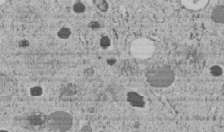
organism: C. elegans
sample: C. elegans embryo early stage